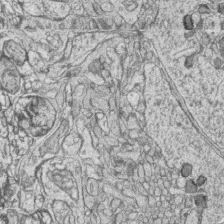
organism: Zebrafish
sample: synaptic ribbons in rod cells and cone cells